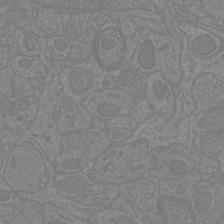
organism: Mouse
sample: Cortical neurons